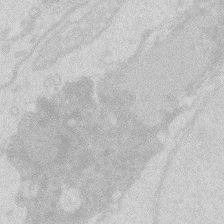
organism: Zebrafish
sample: Macrophage